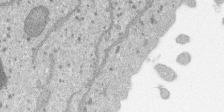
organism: Human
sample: Lung epithelial cells infected with SARS-CoV-2